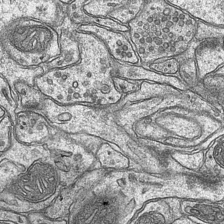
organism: Mouse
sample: CA1 Hippocampus